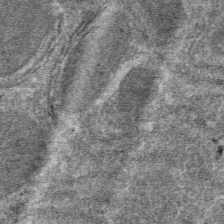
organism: Mouse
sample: Mouse hepatocytes